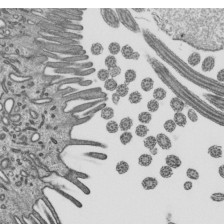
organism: Mouse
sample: Mouse epididymis efferent ductule cilia